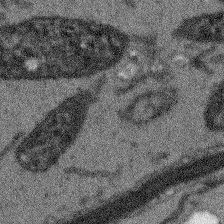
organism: Arabidopsis thaliana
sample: Root tip